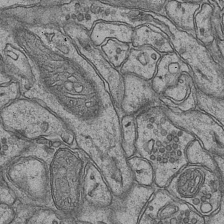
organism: Mouse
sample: CA1 Hippocampus